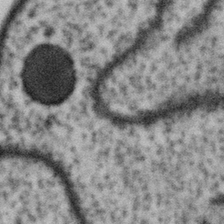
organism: Gemmata obscuriglobus